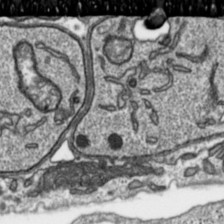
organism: Toxoplasma gondii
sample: Parasites in a vacuole inside a host cell